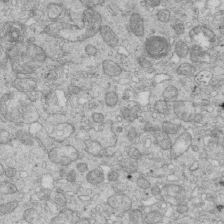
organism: Mouse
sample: Multiciliated cells